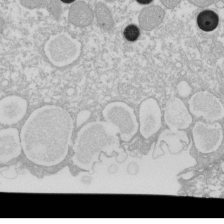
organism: Xenopus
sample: Cilia; centrioles in frog embryo cells